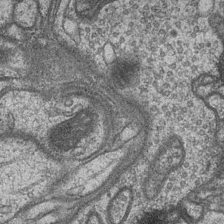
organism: Drosophila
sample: Optic medulla